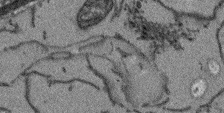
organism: Arabidopsis thaliana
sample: Root tip